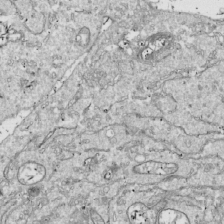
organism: Drosophila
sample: Cell division; meiosis; drosophila spermatocytes